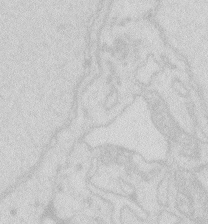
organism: Zebrafish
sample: Macrophage